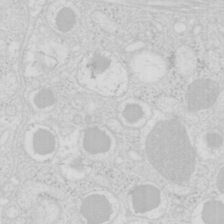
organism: Mouse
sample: Pancreas